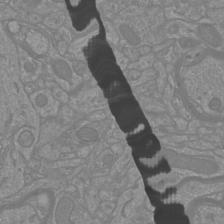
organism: Mouse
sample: Cortical neurons